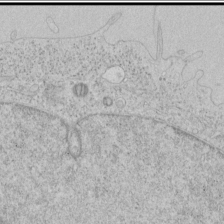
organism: Human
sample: Mitochondria in HCT116 cells